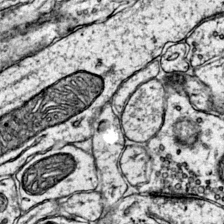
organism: Mouse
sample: Primary visual cortex